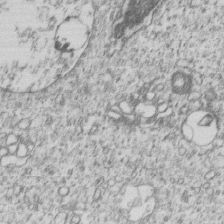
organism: Human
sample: MDA-MB-231 cells